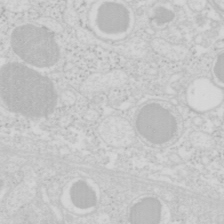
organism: Mouse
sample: Pancreas